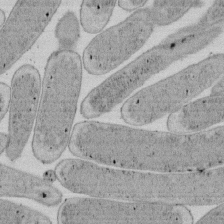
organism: E. coli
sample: Bacterial nucleoid